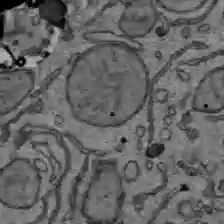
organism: C57BL Mouse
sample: Liver